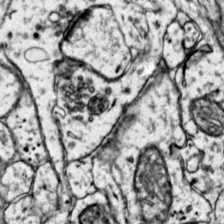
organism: Mouse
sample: Primary visual cortex